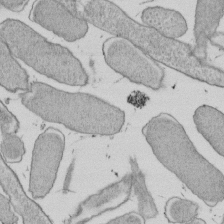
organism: E. coli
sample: Bacterial nucleoid